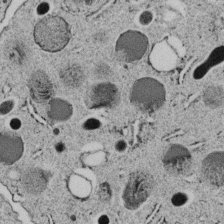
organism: C. elegans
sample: C. elegans embryo early stage